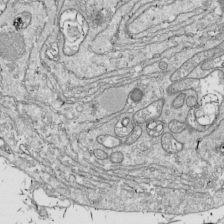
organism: Drosophila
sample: Cell division; meiosis; drosophila spermatocytes